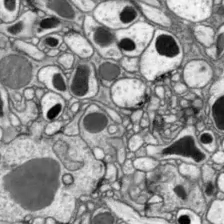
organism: Drosophila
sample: Optic lobe